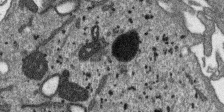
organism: Human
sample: Lung epithelial cells infected with SARS-CoV-2